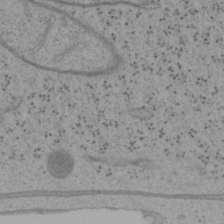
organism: Human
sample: HeLa cells